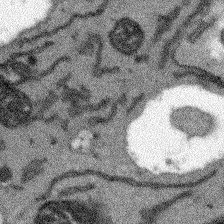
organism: Arabidopsis thaliana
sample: Root tip